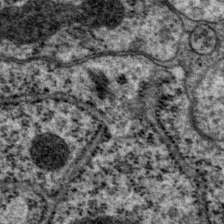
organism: P. pacificus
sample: Pharynx